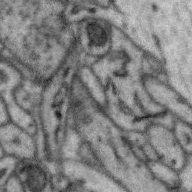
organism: Zebra finch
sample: Brain